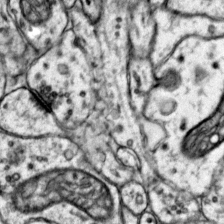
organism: Mouse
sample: Primary visual cortex